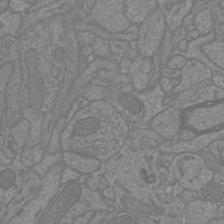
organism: Mouse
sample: Cortical neurons